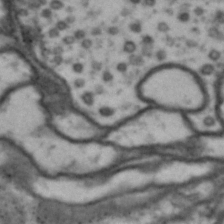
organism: Drosophila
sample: Brain